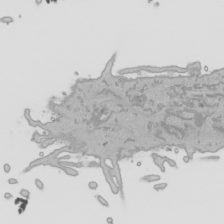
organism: Human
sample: Mitochondria in HCT116 cells